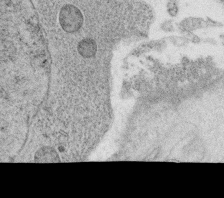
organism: C. elegans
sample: C. elegans oocyte; sperm cells